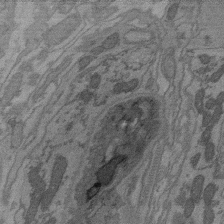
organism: C. elegans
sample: AFD neurons C. elegans